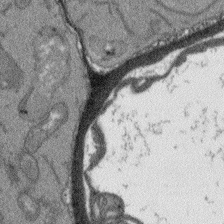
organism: Arabidopsis thaliana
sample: Root tip